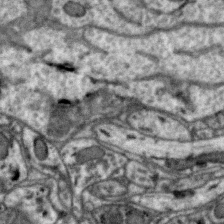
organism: Zebra finch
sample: Brain